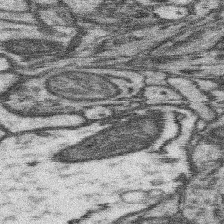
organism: Mouse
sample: Somatosensory cortex neuropil